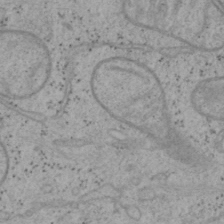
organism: Human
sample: HeLa cells